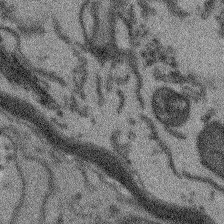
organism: Arabidopsis thaliana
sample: Root tip